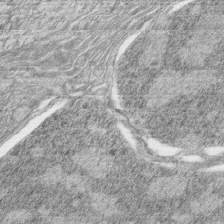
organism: Zebrafish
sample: synaptic ribbons in rod cells and cone cells